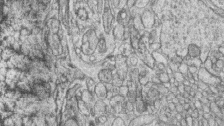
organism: Zebrafish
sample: synaptic ribbons in rod cells and cone cells